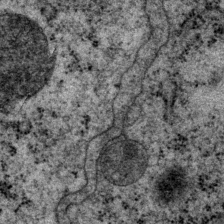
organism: P. pacificus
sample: Pharynx